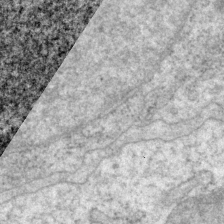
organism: P. pacificus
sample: Pharynx